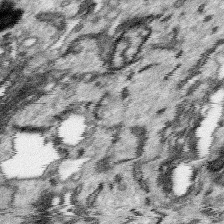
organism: Human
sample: HeLa cells